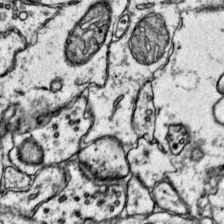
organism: Mouse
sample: Primary visual cortex